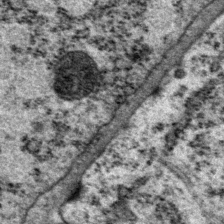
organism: P. pacificus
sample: Pharynx